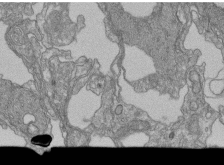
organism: Human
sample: Retinal organoid Rod and Cone cells